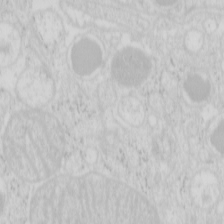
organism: Mouse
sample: Pancreas